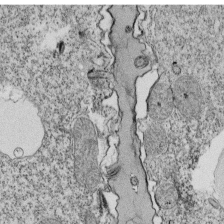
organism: Tetrahymena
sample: Cilia in tetrahymena